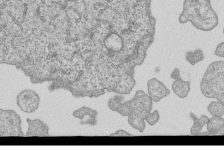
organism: Human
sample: MDA-MB-231 cells